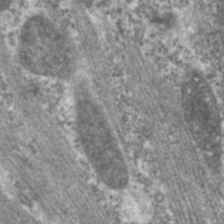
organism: C. elegans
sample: Pharynx